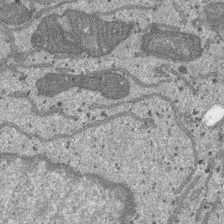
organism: Human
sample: Lung epithelial cells infected with SARS-CoV-2